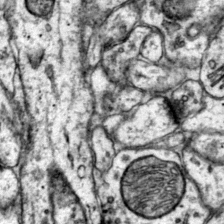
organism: Mouse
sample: Primary visual cortex